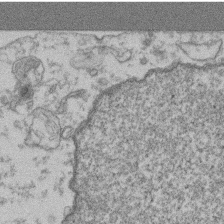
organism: Mouse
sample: T cell stromal cell synapse